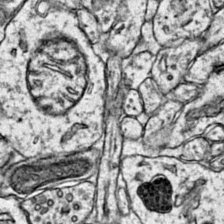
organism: Mouse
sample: Primary visual cortex